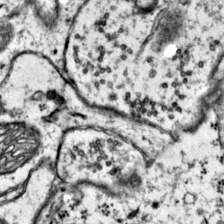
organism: Mouse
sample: Primary visual cortex